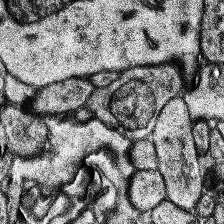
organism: Human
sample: Temporal Lobe